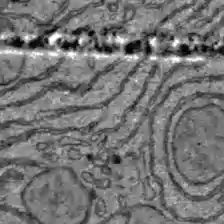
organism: C57BL Mouse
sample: Liver